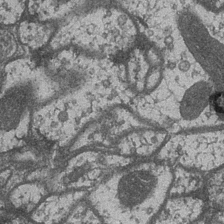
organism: Drosophila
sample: Optic medulla